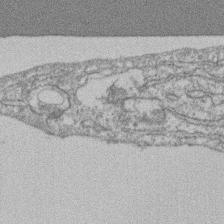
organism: Mouse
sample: T cell stromal cell synapse